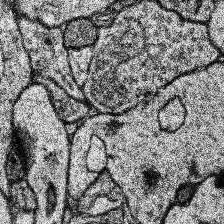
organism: Human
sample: Temporal Lobe